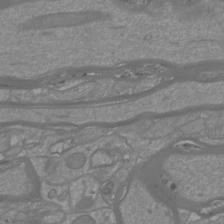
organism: Mouse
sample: Cortical neurons